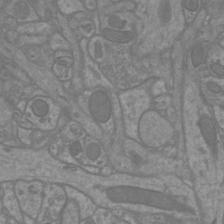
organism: Mouse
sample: Cortical neurons